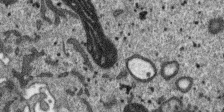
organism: Human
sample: Lung epithelial cells infected with SARS-CoV-2